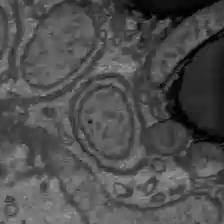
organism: C57BL Mouse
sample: Liver